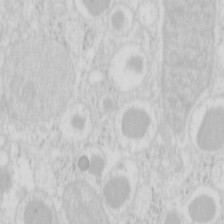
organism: Mouse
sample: Pancreas